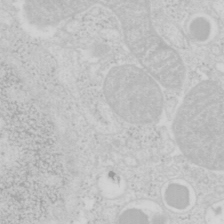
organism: Mouse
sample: Pancreas